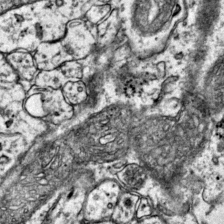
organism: Mouse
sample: Primary visual cortex